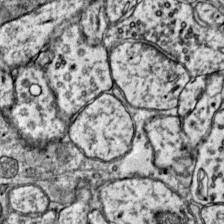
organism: Mouse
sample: Primary visual cortex